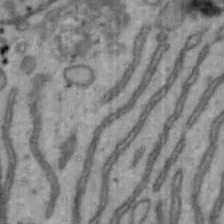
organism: Mouse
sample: Liver